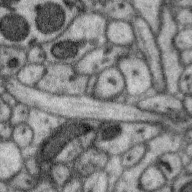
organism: Zebra finch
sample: Brain